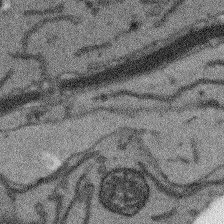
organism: Arabidopsis thaliana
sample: Root tip